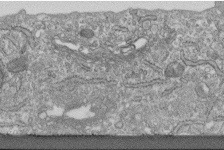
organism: Human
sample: Centriole in fibroblast cells